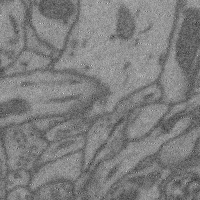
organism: Mouse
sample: Cerebral cortex